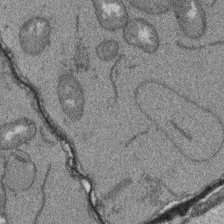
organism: Arabidopsis thaliana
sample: Root tip